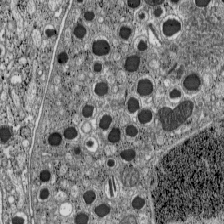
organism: C57BL Mouse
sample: Pancreatic islet